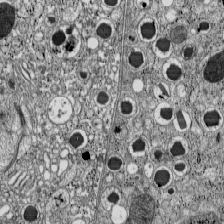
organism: C57BL Mouse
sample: Pancreatic islet